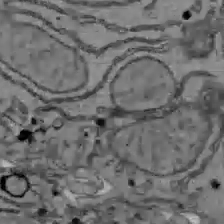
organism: C57BL Mouse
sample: Liver